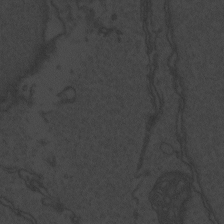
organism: Zebrafish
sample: Macrophage infected with Toxoplasma gondii